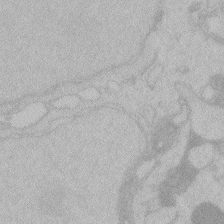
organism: Zebrafish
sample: Macrophage infected with Toxoplasma gondii